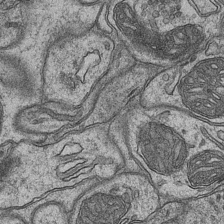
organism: Mouse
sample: CA1 Hippocampus